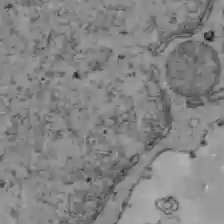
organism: C57BL Mouse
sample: Liver